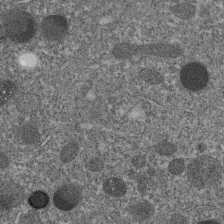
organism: C. elegans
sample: C. elegans embryo early stage